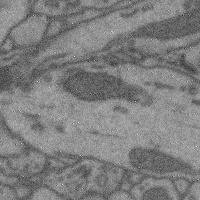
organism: Mouse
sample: Cerebral cortex